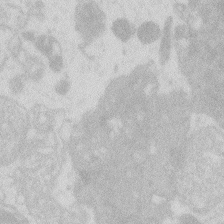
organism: Zebrafish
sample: Macrophage